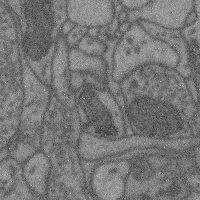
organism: Mouse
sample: Cerebral cortex